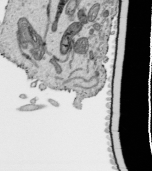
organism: Human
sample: Mitochondria in HCT116 cells